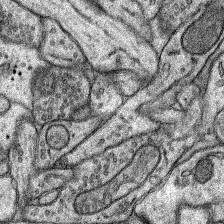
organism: Rat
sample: Hippocampus